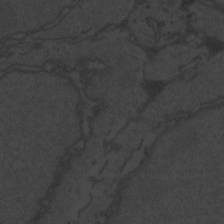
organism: Zebrafish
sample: Macrophage infected with Toxoplasma gondii